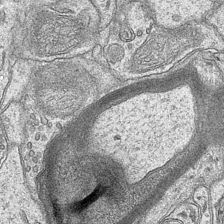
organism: Mouse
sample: CA1 Hippocampus